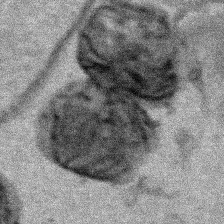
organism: Human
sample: Mitochondria in HCT116 cells